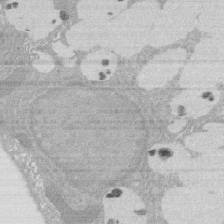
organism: Rat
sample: Salivary granule